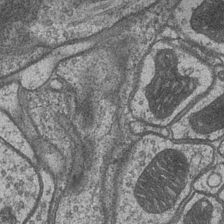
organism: Drosophila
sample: Optic medulla